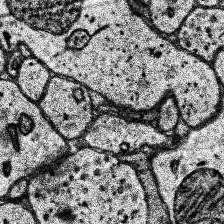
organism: Human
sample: Temporal Lobe